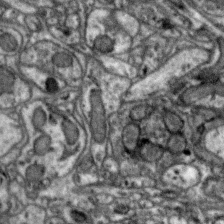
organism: Zebra finch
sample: Brain